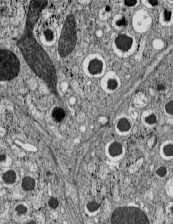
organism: C57BL Mouse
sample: Pancreatic islet